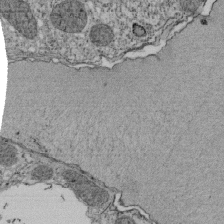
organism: Tetrahymena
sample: Cilia in tetrahymena